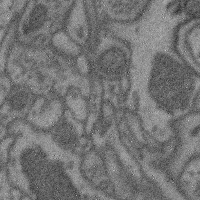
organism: Mouse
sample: Cerebral cortex